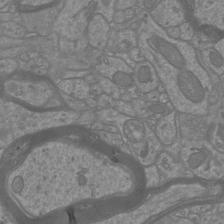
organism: Mouse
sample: Cortical neurons